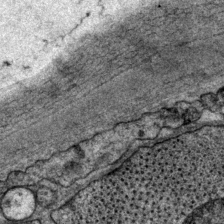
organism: P. pacificus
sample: Pharynx